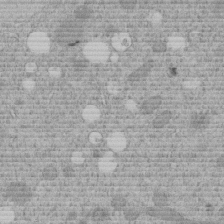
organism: C. elegans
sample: C. elegans embryo early stage